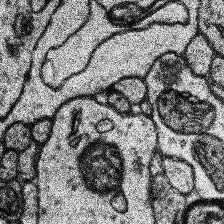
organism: Human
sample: Temporal Lobe